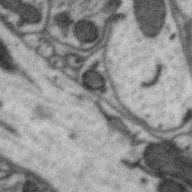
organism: Zebra finch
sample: Brain